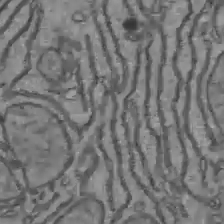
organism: C57BL Mouse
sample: Liver